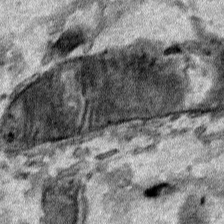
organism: Human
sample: Mitochondria in HCT116 cells